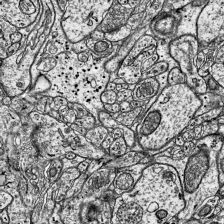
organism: Mouse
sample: Visual Cortex